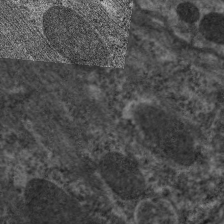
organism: C. elegans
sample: Pharynx